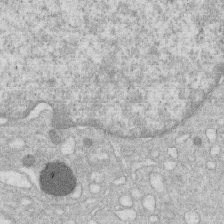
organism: Human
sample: Macrophage cells